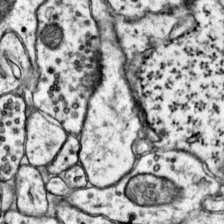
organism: Mouse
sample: Primary visual cortex